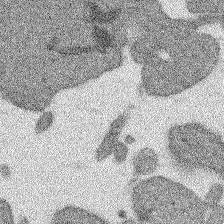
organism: Human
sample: HeLa cells